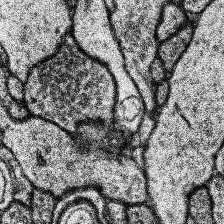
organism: Human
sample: Temporal Lobe